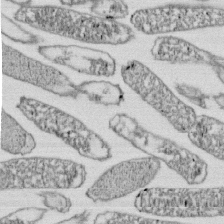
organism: E. coli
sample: Bacterial nucleoid